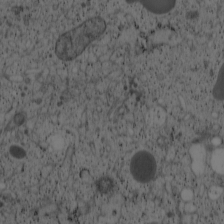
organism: African green monkey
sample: COS-7 cells